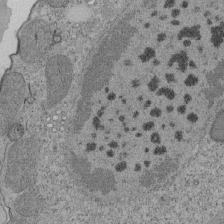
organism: Tetrahymena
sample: Cilia in tetrahymena